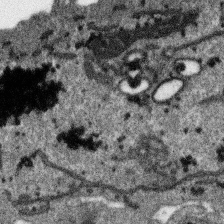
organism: Human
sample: Lung epithelial cells infected with SARS-CoV-2